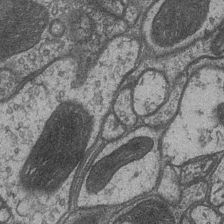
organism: Drosophila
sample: Optic medulla